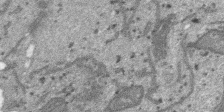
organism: Human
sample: Lung epithelial cells infected with SARS-CoV-2